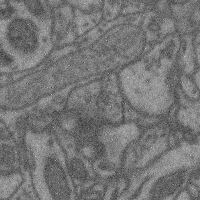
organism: Mouse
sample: Cerebral cortex